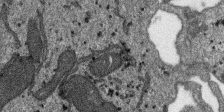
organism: Human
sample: Lung epithelial cells infected with SARS-CoV-2